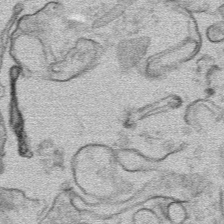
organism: Mouse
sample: Mouse hepatocytes